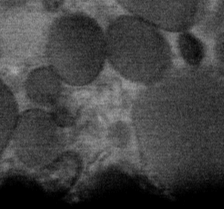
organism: Mouse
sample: Mouse Salivary gland